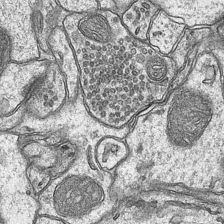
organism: Mouse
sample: CA1 Hippocampus